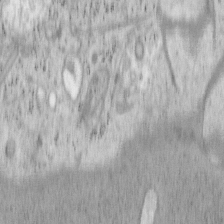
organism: Human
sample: HeLa cells